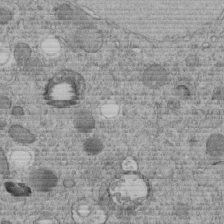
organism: C. elegans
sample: C. elegans embryo early stage